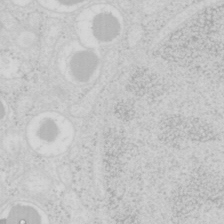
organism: Mouse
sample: Pancreas